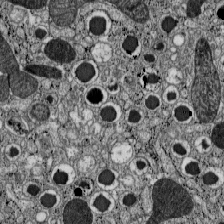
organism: C57BL Mouse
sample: Pancreatic islet